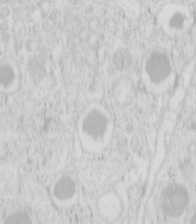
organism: Mouse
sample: Pancreas